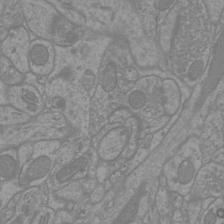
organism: Mouse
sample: Cortical neurons